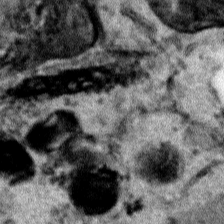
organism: Human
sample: Mitochondria in HCT116 cells